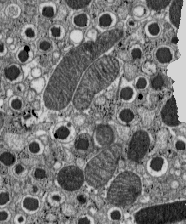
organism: C57BL Mouse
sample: Pancreatic islet